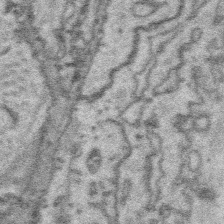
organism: Platynereis dumerilii